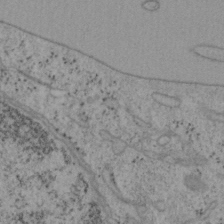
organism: Human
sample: HeLa cells